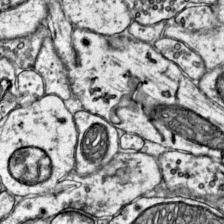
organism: Mouse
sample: Primary visual cortex